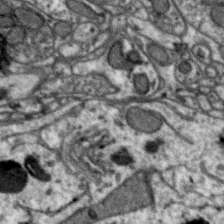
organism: Zebra finch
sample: Brain